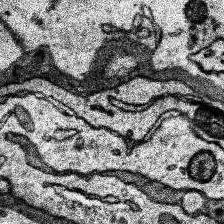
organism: Human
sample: Temporal Lobe